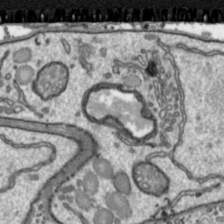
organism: Toxoplasma gondii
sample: Parasites in a vacuole inside a host cell